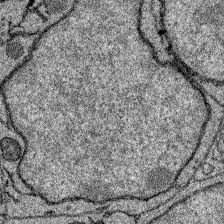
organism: Zebrafish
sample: Larval olfactory bulb